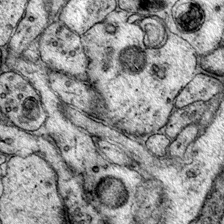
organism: Mouse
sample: Primary visual cortex